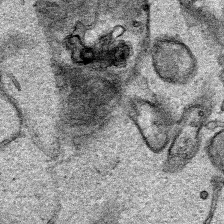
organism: Human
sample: Mitochondria in HCT116 cells